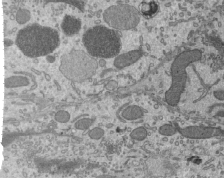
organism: Mouse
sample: Mouse epididymis efferent ductule cilia